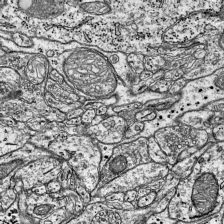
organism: Mouse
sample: Visual Cortex